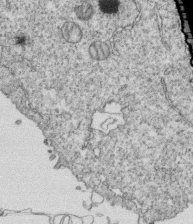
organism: Human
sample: HeLa cell HIV synapse